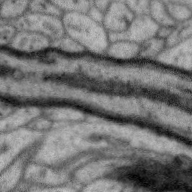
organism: Zebra finch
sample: Brain